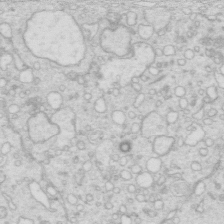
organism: Mouse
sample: Multiciliated cells